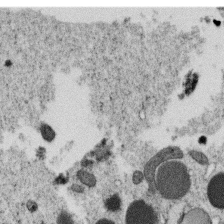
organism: C. elegans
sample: C. elegans oocyte; sperm cells